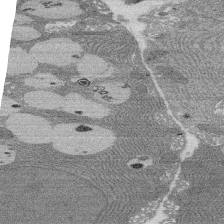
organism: Rat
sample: Salivary granule